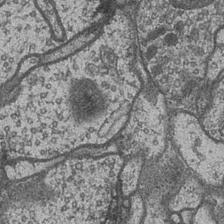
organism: Drosophila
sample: Optic medulla